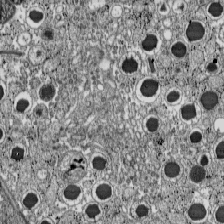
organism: C57BL Mouse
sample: Pancreatic islet